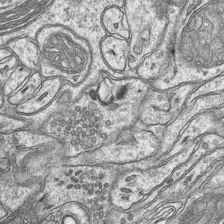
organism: Mouse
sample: CA1 Hippocampus